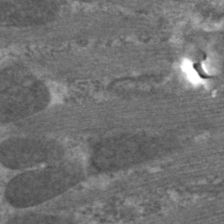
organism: C. elegans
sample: Pharynx